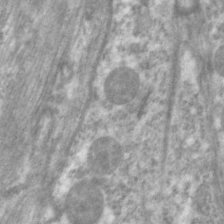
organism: C. elegans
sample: Pharynx